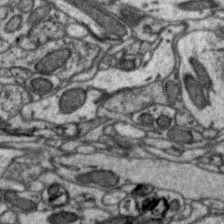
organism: Zebra finch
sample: Brain